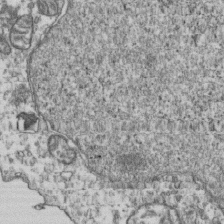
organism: Human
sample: Activated Jurkat CD4+ T cells